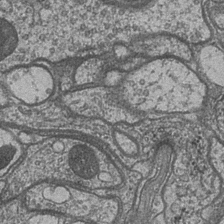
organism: Drosophila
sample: Optic medulla